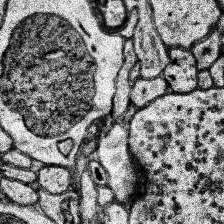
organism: Human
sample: Temporal Lobe